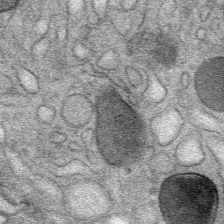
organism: Mouse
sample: Mouse Salivary gland